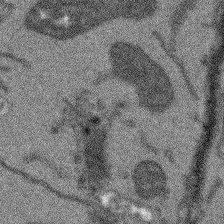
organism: Arabidopsis thaliana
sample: Root tip